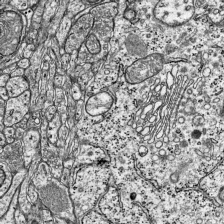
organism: Mouse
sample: Visual Cortex